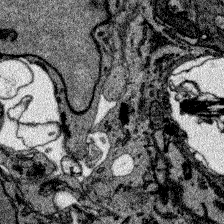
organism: Zebrafish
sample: Larval olfactory bulb